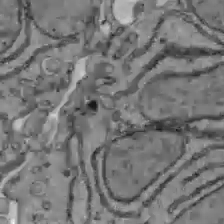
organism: C57BL Mouse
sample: Liver